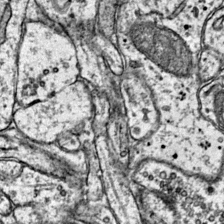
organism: Mouse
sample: Primary visual cortex